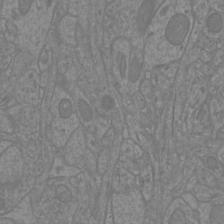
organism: Mouse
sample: Cortical neurons